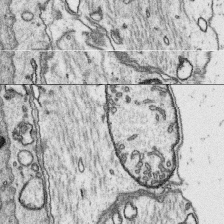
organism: Platynereis dumerilii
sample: Parapodia